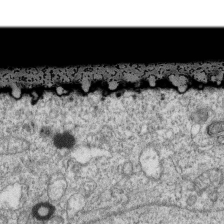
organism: Human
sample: HeLa cell HIV synapse